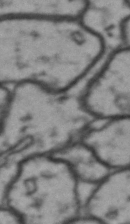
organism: Drosophila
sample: Brain